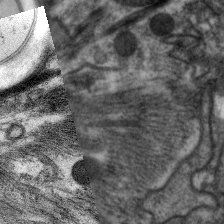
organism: C. elegans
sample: Pharynx